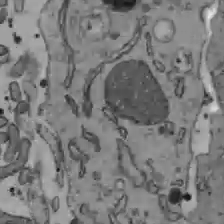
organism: C57BL Mouse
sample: Liver